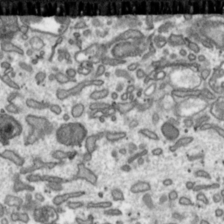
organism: Toxoplasma gondii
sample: Parasites in a vacuole inside a host cell